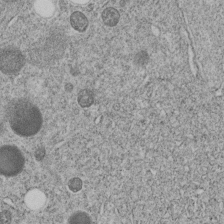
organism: C. elegans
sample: C. elegans embryo early stage